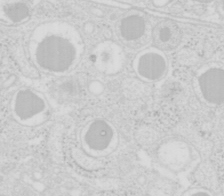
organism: Mouse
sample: Pancreas